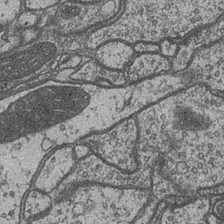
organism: Drosophila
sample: Optic medulla